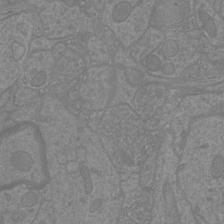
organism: Mouse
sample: Cortical neurons